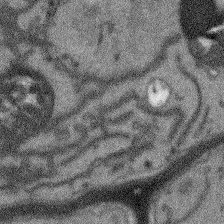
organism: Arabidopsis thaliana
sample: Root tip